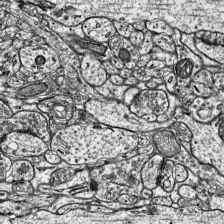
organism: Mouse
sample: Visual Cortex